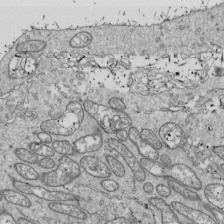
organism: Drosophila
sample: Cell division; meiosis; drosophila spermatocytes